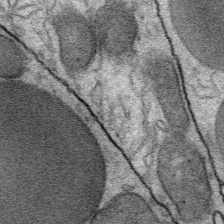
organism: Mouse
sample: Mouse Salivary gland